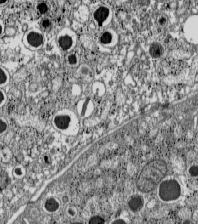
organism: C57BL Mouse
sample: Pancreatic islet